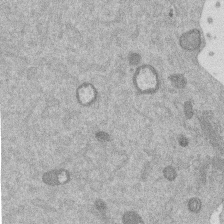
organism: Mouse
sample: Dividing mouse embryo 1 cell stage